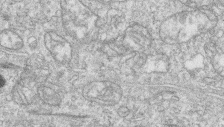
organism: Human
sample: HeLa cell HIV synapse